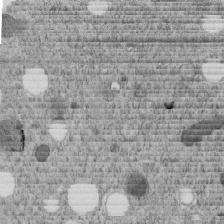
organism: C. elegans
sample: C. elegans embryo early stage